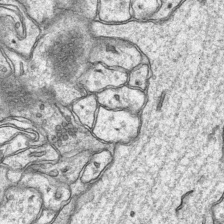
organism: Mouse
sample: CA1 Hippocampus